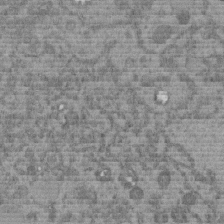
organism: C. elegans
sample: C. elegans embryo early stage